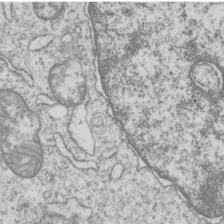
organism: Human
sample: MDA-MB-231 cells